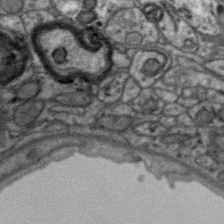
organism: Zebra finch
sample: Brain